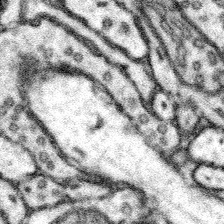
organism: Mouse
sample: Somatosensory cortex neuropil